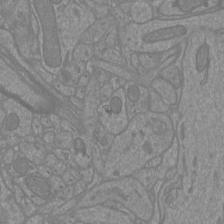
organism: Mouse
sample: Cortical neurons